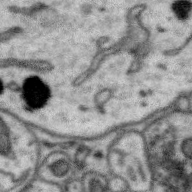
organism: Zebra finch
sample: Brain